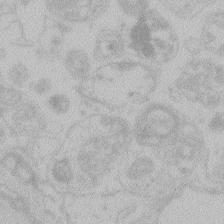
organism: Zebrafish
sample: Macrophage infected with Toxoplasma gondii